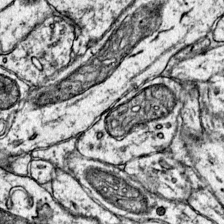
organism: Mouse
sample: Primary visual cortex